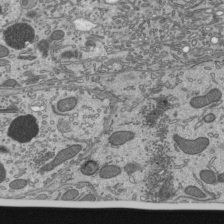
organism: Mouse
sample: Mouse epididymis efferent ductule cilia